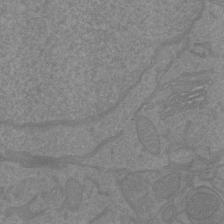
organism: Mouse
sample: Cortical neurons